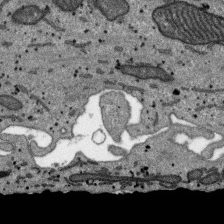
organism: Human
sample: Lung epithelial cells, uninfected (mock) control